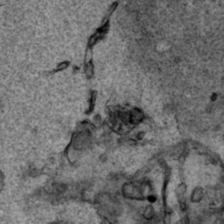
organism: Human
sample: Mitochondria in HCT116 cells